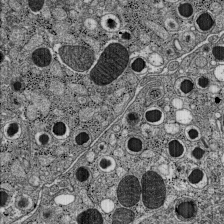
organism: C57BL Mouse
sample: Pancreatic islet